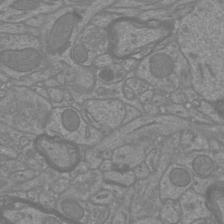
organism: Mouse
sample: Cortical neurons